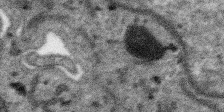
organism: Human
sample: Lung epithelial cells infected with SARS-CoV-2